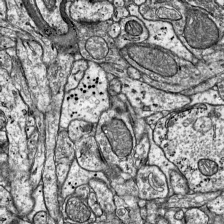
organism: Mouse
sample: Visual Cortex